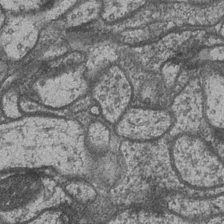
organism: Drosophila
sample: Optic medulla